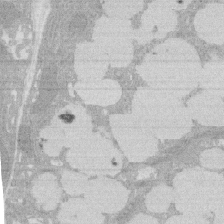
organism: Rat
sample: Salivary granule